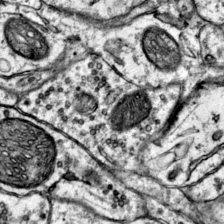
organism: Mouse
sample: Primary visual cortex